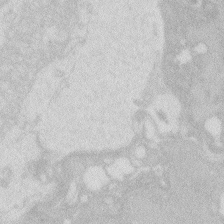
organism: Zebrafish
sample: Macrophage